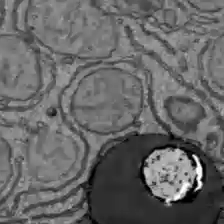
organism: C57BL Mouse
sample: Liver